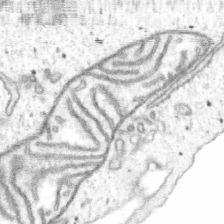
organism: Human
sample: HeLa cells